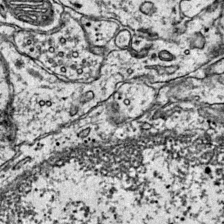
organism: Mouse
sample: Primary visual cortex